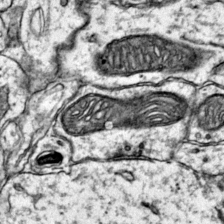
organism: Mouse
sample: Primary visual cortex